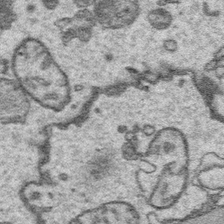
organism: Platynereis dumerilii